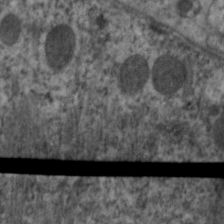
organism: C. elegans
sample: Pharynx